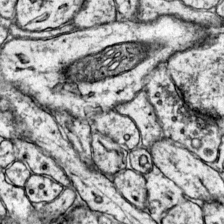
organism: Mouse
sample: Primary visual cortex